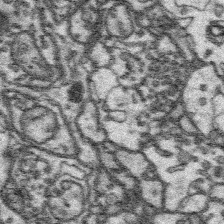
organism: Platynereis dumerilii